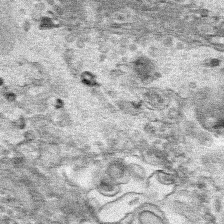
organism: Human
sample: Mitochondria in HCT116 cells